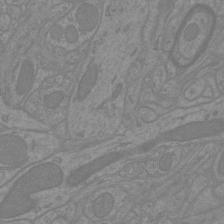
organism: Mouse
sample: Cortical neurons